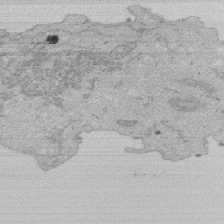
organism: Human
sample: Activated Jurkat CD4+ T cells